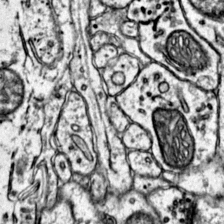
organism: Mouse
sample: Primary visual cortex